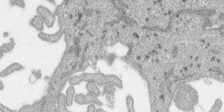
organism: Human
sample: Lung epithelial cells infected with SARS-CoV-2